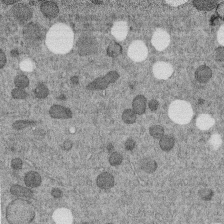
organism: C. elegans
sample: C. elegans embryo early stage